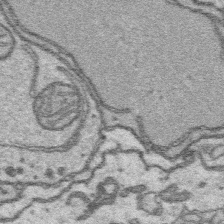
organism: Platynereis dumerilii